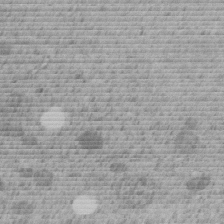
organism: C. elegans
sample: C. elegans embryo early stage